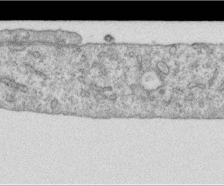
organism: Human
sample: Centriole in RPE cells